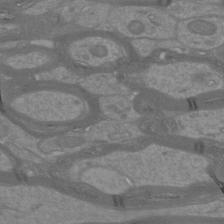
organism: Mouse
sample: Cortical neurons